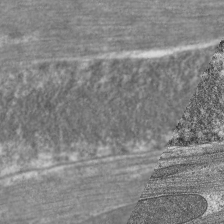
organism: C. elegans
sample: Pharynx